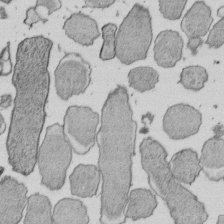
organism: E. coli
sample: Bacterial nucleoid